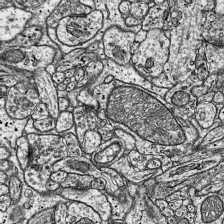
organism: Mouse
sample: Visual Cortex